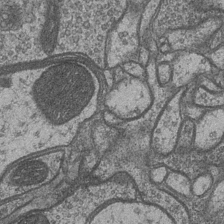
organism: Drosophila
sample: Optic medulla